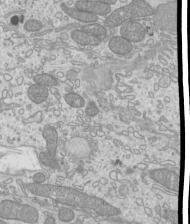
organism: Mouse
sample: Cilia; mouse epididymis